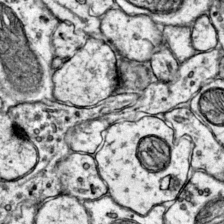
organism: Mouse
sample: Primary visual cortex